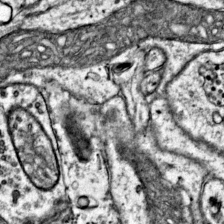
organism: Mouse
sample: Primary visual cortex